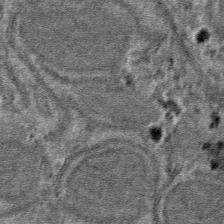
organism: Mouse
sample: Mouse hepatocytes